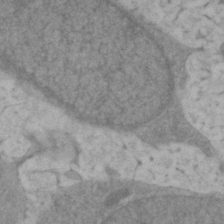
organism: Zebrafish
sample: Zebrafish embryo